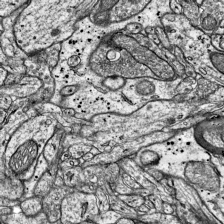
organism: Mouse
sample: Visual Cortex